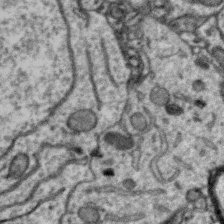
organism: Zebra finch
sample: Brain